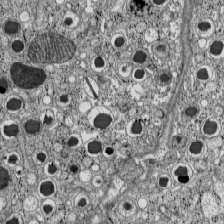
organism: C57BL Mouse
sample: Pancreatic islet